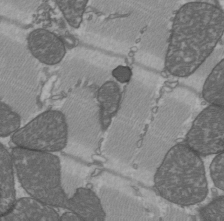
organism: C57BL Mouse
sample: Heart